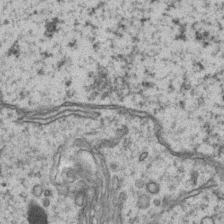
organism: Mouse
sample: CA1 Hippocampus